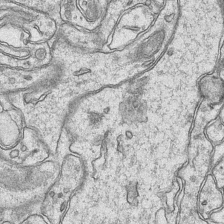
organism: Mouse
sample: CA1 Hippocampus